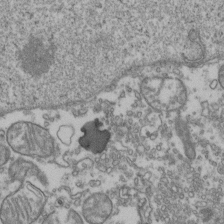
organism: Human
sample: Activated Jurkat CD4+ T cells